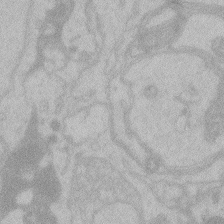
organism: Zebrafish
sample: Macrophage infected with Toxoplasma gondii